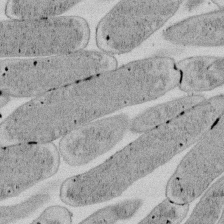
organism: E. coli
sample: Bacterial nucleoid